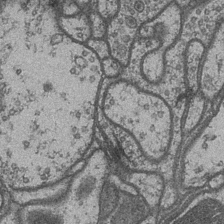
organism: Drosophila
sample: Optic medulla